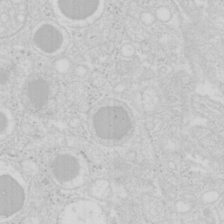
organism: Mouse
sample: Pancreas